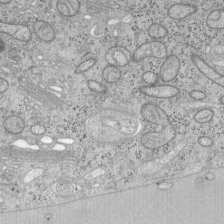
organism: Mouse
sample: OT-I killer T cells with ID8 ovarian cancer cells